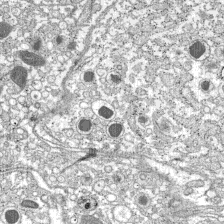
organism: C57BL Mouse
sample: Pancreatic islet